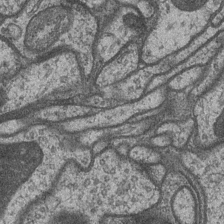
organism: Drosophila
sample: Optic medulla